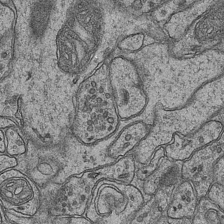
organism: Mouse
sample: CA1 Hippocampus